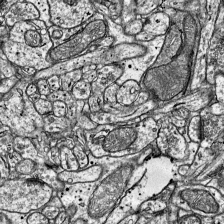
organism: Mouse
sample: Visual Cortex